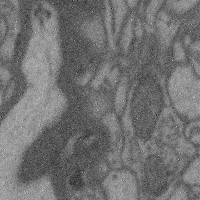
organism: Mouse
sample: Cerebral cortex